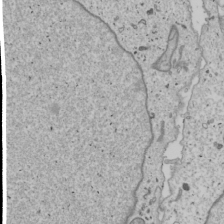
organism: Human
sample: Mitochondria in U2OS cells